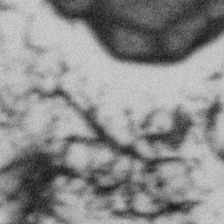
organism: Gemmata obscuriglobus